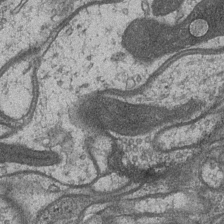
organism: Drosophila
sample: Optic medulla